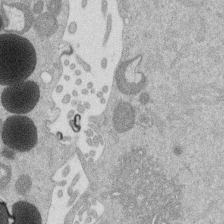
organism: Mouse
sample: Dividing mouse embryo 1 cell stage